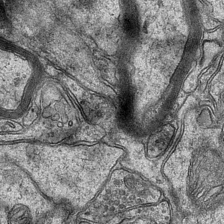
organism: Mouse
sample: CA1 Hippocampus